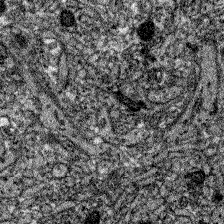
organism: Zebrafish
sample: Larval olfactory bulb